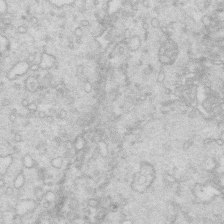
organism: Mouse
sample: Multiciliated cells